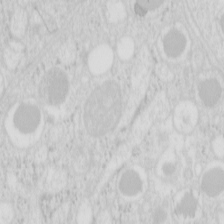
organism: Mouse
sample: Pancreas